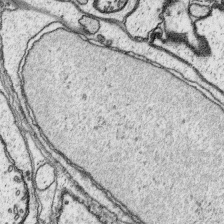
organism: Platynereis dumerilii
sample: Parapodia